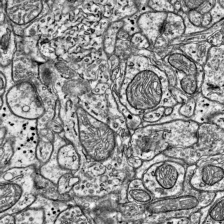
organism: Mouse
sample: Visual Cortex